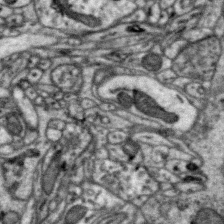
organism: Zebra finch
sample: Brain